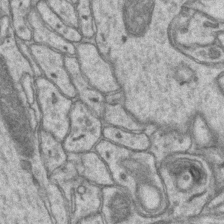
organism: Mouse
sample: CA1 Hippocampus